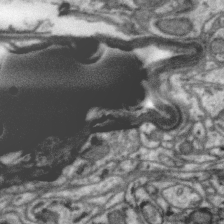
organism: Zebra finch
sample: Brain